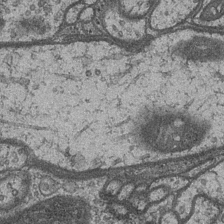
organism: Drosophila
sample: Optic medulla